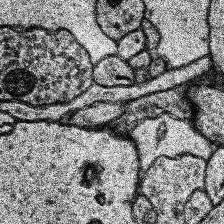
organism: Human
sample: Temporal Lobe